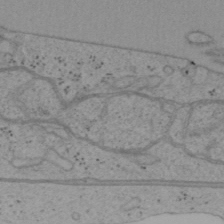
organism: Human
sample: HeLa cells